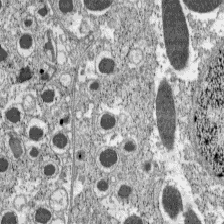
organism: C57BL Mouse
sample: Pancreatic islet